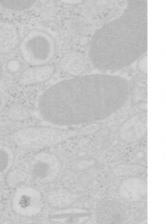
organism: Mouse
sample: Pancreas